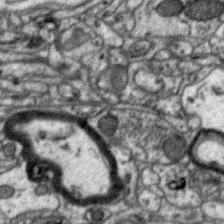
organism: Zebra finch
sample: Brain